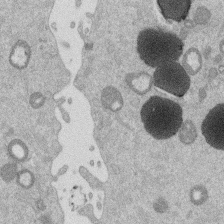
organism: Mouse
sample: Dividing mouse embryo 1 cell stage